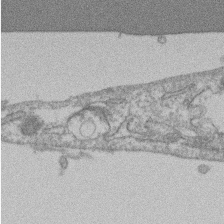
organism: Mouse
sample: T cell stromal cell synapse